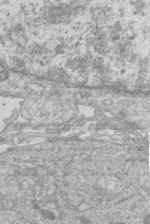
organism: Human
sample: Macrophage cells